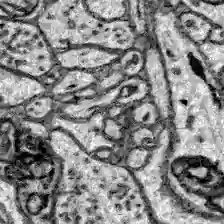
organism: Zebrafish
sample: Brain